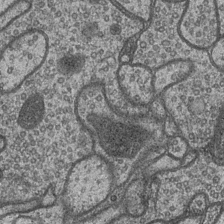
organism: Drosophila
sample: Optic medulla